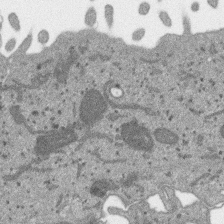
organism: Human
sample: Lung epithelial cells infected with SARS-CoV-2